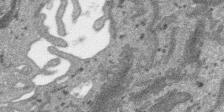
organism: Human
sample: Lung epithelial cells infected with SARS-CoV-2